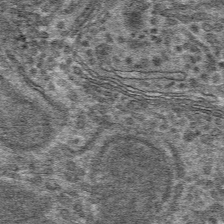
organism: Mouse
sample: Mouse hepatocytes